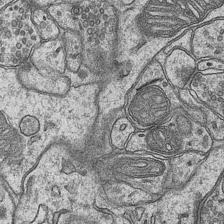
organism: Mouse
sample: CA1 Hippocampus